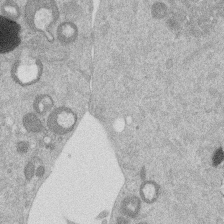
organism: Mouse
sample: Dividing mouse embryo 1 cell stage